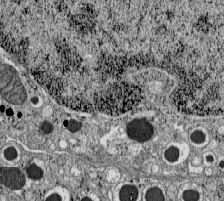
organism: C57BL Mouse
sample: Pancreatic islet